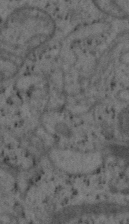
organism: Human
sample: HeLa cells